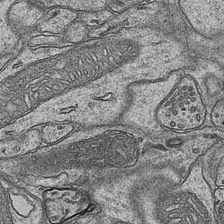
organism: Mouse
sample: CA1 Hippocampus